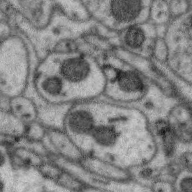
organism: Zebra finch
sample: Brain